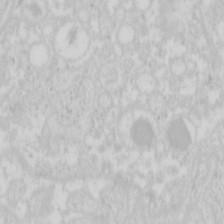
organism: Mouse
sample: Pancreas